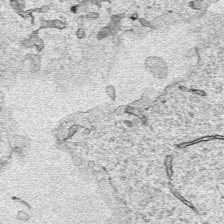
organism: Human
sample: Mitochondria in HCT116 cells